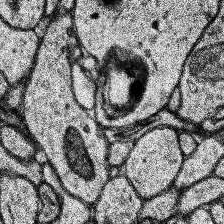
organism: Human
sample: Temporal Lobe